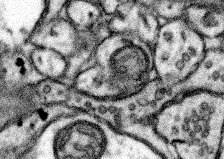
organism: Mouse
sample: Somatosensory cortex neuropil